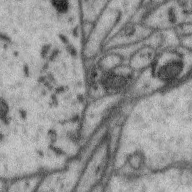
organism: Zebra finch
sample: Brain